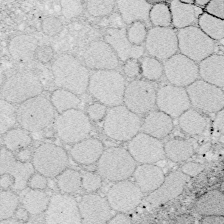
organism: Zebrafish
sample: Whole-Brain